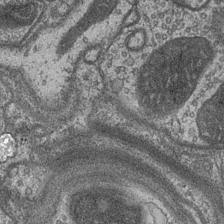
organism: Drosophila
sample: Optic medulla